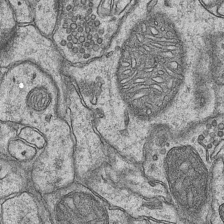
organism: Mouse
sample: CA1 Hippocampus